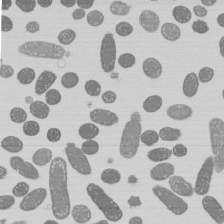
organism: E. coli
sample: Bacterial nucleoid